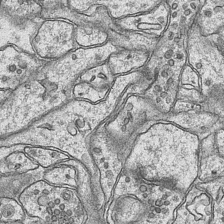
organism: Mouse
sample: CA1 Hippocampus